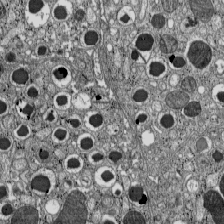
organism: C57BL Mouse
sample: Pancreatic islet